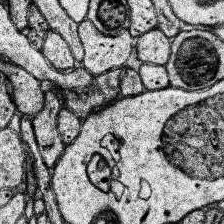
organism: Human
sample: Temporal Lobe